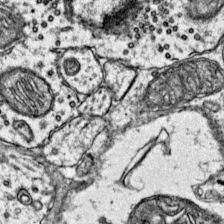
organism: Mouse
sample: Primary visual cortex